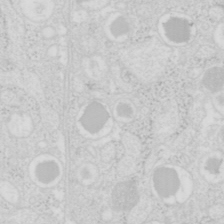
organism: Mouse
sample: Pancreas